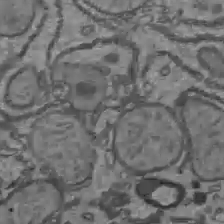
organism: C57BL Mouse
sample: Liver